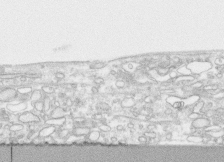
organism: Human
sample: CRL-1474